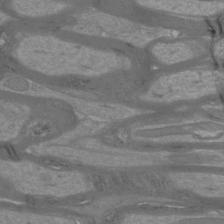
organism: Mouse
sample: Cortical neurons